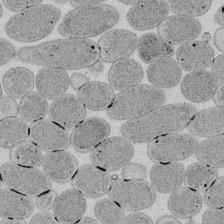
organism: E. coli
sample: Bacterial nucleoid